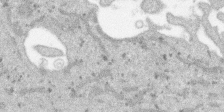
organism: Human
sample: Lung epithelial cells infected with SARS-CoV-2